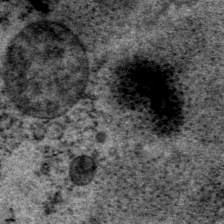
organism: P. pacificus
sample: Pharynx